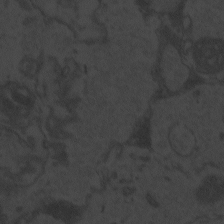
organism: Zebrafish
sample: Macrophage infected with Toxoplasma gondii